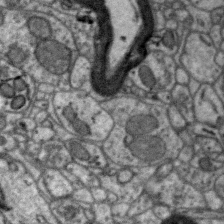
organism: Zebra finch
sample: Brain